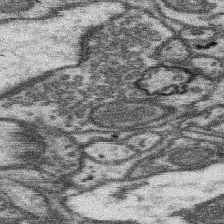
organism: Mouse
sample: Somatosensory cortex neuropil